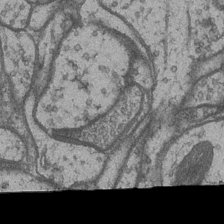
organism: Drosophila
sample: Optic medulla